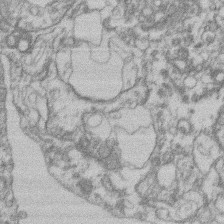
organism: Mouse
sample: T cell stromal cell synapse